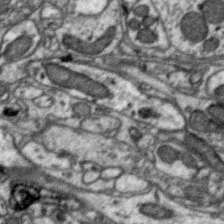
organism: Zebra finch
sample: Brain